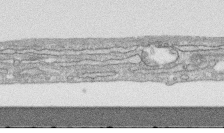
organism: Human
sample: CRL-1474